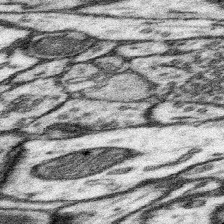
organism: Mouse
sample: Somatosensory cortex neuropil